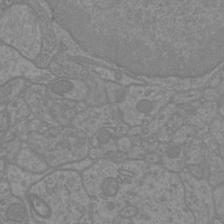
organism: Mouse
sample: Cortical neurons